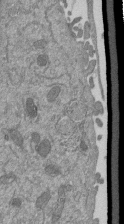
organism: Mouse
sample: ED-1 cell nuclei; centrioles